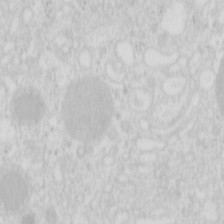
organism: Mouse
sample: Pancreas